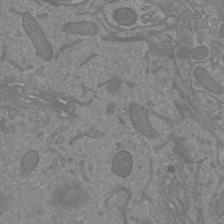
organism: Mouse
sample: Cortical neurons